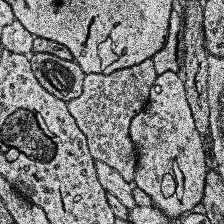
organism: Human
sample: Temporal Lobe